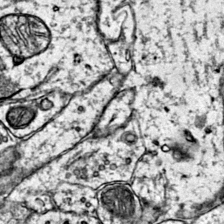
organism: Mouse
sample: Primary visual cortex